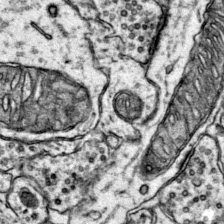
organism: Mouse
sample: Primary visual cortex